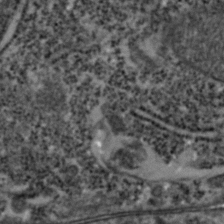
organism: Zebrafish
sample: Zebrafish embryo